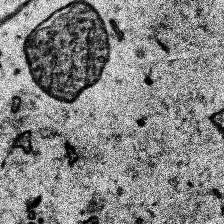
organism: Human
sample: Temporal Lobe